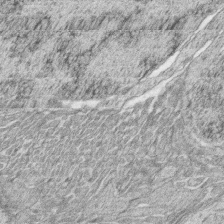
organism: Zebrafish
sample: synaptic ribbons in rod cells and cone cells